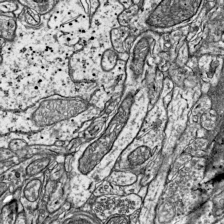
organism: Mouse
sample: Visual Cortex